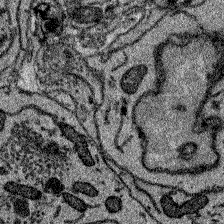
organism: Zebrafish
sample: Larval olfactory bulb